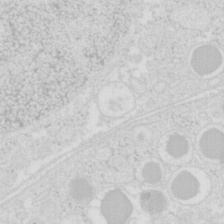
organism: Mouse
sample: Pancreas